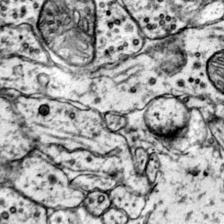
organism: Mouse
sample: Primary visual cortex